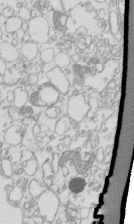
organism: Mouse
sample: Macrophages